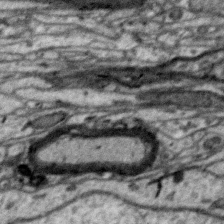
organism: Zebra finch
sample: Brain